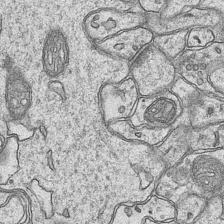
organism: Mouse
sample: CA1 Hippocampus